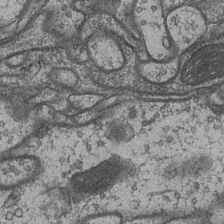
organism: Drosophila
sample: Optic medulla